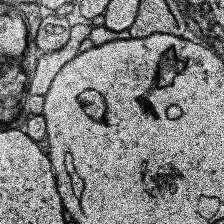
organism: Human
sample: Temporal Lobe